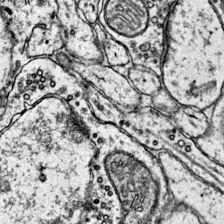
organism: Mouse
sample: Primary visual cortex